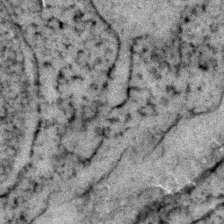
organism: Zebrafish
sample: Zebrafish embryo